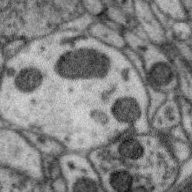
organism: Zebra finch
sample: Brain